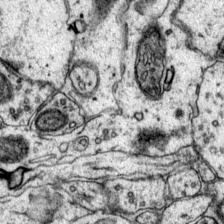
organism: Mouse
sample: Primary visual cortex